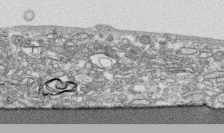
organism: Human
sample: CRL-1474